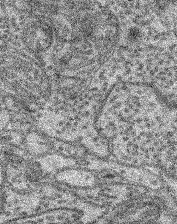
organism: Mouse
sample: Retina